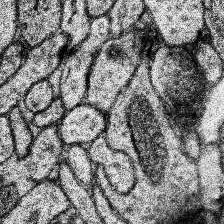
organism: Human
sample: Temporal Lobe